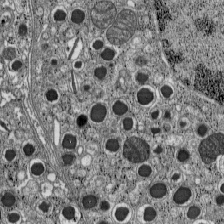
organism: C57BL Mouse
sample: Pancreatic islet